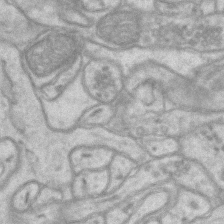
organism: Mouse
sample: CA1 Hippocampus